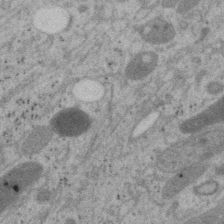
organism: Human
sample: HeLa cells